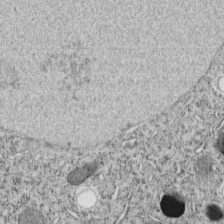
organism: C. elegans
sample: C. elegans embryo early stage